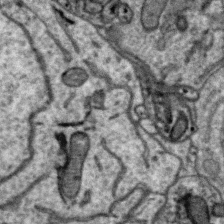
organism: Zebra finch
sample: Brain